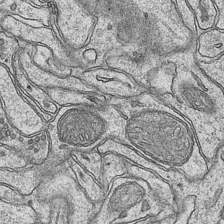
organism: Mouse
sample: CA1 Hippocampus